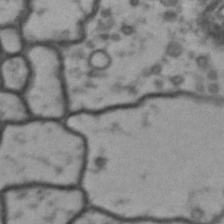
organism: Drosophila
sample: Brain